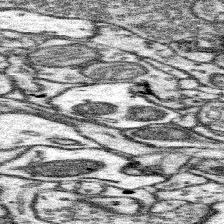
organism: Mouse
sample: Somatosensory cortex neuropil